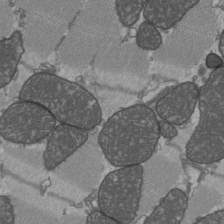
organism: C57BL Mouse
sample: Heart